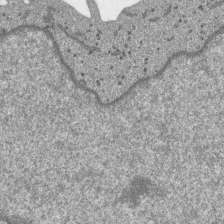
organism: Human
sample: Lung epithelial cells infected with SARS-CoV-2